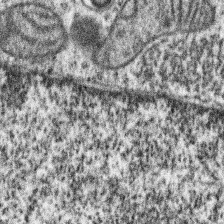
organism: Human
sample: HeLa cells